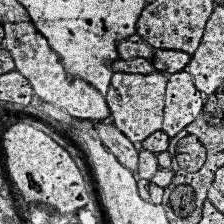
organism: Human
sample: Temporal Lobe